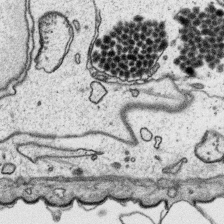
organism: Platynereis dumerilii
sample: Parapodia